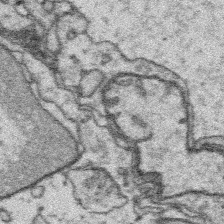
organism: Platynereis dumerilii